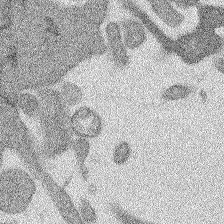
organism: Human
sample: HeLa cells